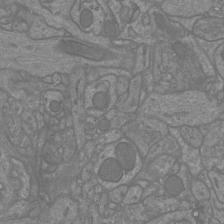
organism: Mouse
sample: Cortical neurons